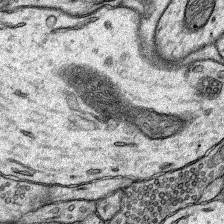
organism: Rat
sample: Hippocampus